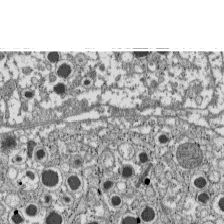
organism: C57BL Mouse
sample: Pancreatic islet